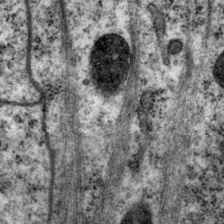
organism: P. pacificus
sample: Pharynx